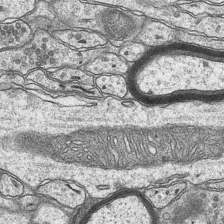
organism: Mouse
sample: CA1 Hippocampus